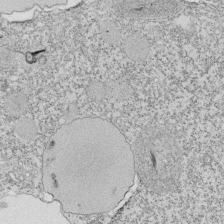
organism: Tetrahymena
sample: Cilia in tetrahymena